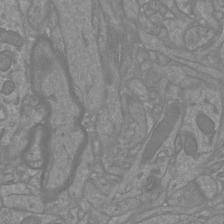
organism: Mouse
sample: Cortical neurons